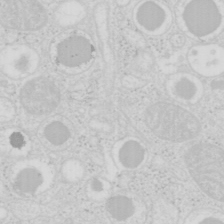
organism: Mouse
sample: Pancreas